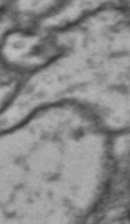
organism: Drosophila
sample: Brain